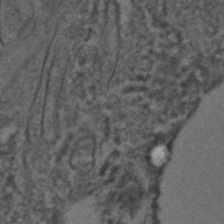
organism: C. elegans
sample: C. elegans embryo